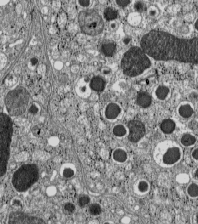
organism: C57BL Mouse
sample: Pancreatic islet